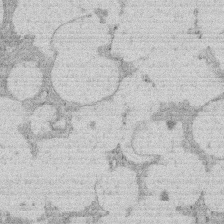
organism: Rat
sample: Salivary granule